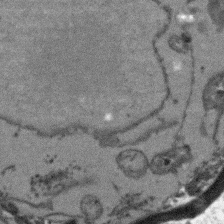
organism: Arabidopsis thaliana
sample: Root tip